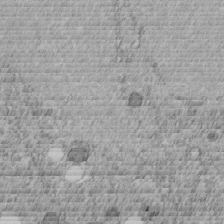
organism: C. elegans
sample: C. elegans embryo early stage